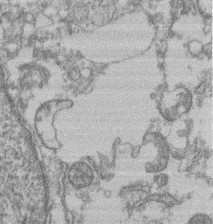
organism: Mouse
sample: T cell stromal cell synapse